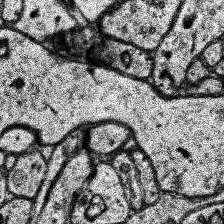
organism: Human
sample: Temporal Lobe